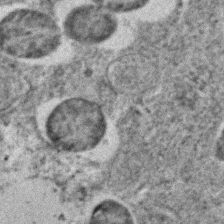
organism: C. elegans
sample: C. elegans embryo